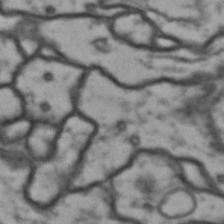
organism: Drosophila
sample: Brain